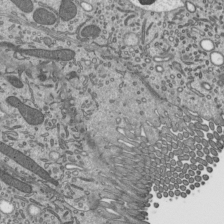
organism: Mouse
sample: Mouse epididymis efferent ductule cilia